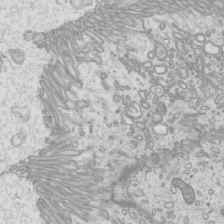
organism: Mouse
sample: Cilia; mouse epididymis